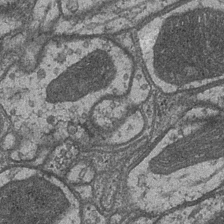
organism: Drosophila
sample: Optic medulla